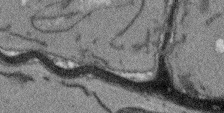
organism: Arabidopsis thaliana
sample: Root tip